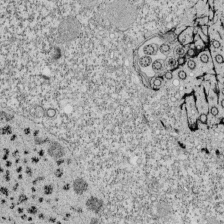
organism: Tetrahymena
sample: Cilia in tetrahymena